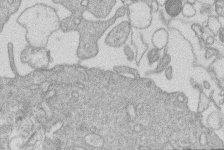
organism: Human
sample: Macrophage cells